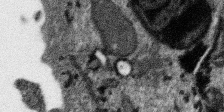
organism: Human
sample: Lung epithelial cells infected with SARS-CoV-2